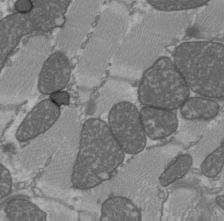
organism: C57BL Mouse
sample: Heart